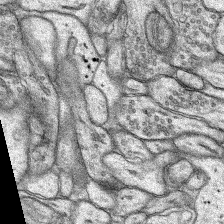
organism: Rat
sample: Hippocampus